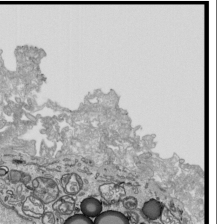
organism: Human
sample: Mitochondria in HCT116 cells